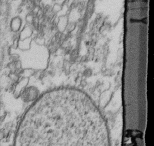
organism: Mouse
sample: Cilia; retinal pigment epithelium